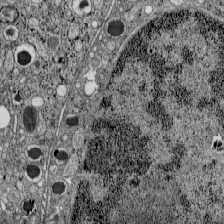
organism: C57BL Mouse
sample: Pancreatic islet